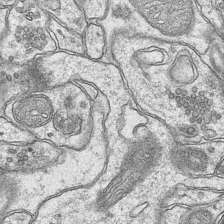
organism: Mouse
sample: CA1 Hippocampus